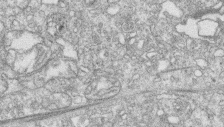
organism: Human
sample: HeLa cell HIV synapse